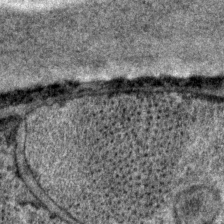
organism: P. pacificus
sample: Pharynx